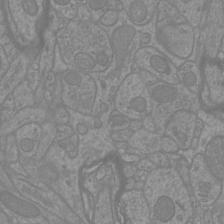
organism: Mouse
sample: Cortical neurons